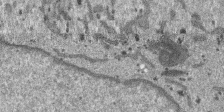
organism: Human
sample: Lung epithelial cells infected with SARS-CoV-2